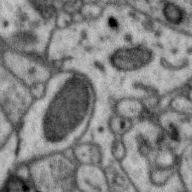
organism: Zebra finch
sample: Brain